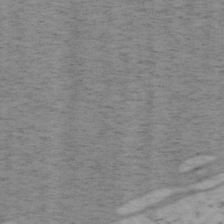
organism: Mouse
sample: OT-I killer T cells with ID8 ovarian cancer cells